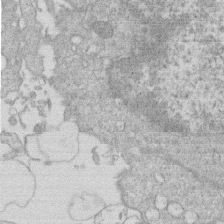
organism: Human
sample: Macrophage cells